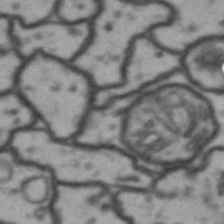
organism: Drosophila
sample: Brain